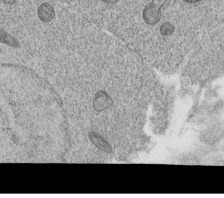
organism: C. elegans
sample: C. elegans oocyte; sperm cells